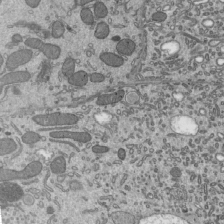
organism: Mouse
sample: Mouse epididymis efferent ductule cilia